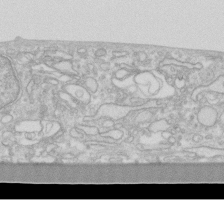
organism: Human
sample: Fibroblast cells